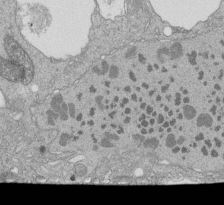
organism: Tetrahymena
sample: Cilia in tetrahymena